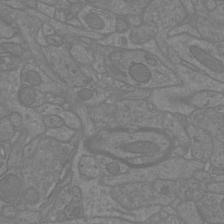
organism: Mouse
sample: Cortical neurons